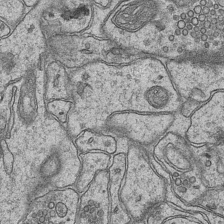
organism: Mouse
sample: CA1 Hippocampus